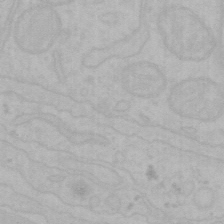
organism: Mouse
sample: Choroid plexus